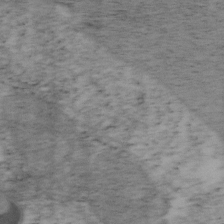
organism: Mouse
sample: OT-I killer T cells with ID8 ovarian cancer cells